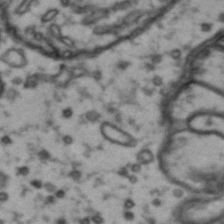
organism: Drosophila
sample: Brain